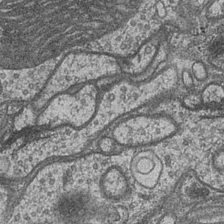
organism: Drosophila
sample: Optic medulla